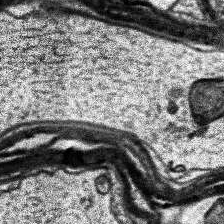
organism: Human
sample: Temporal Lobe